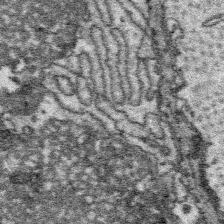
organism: Platynereis dumerilii